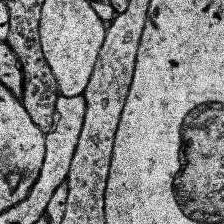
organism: Human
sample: Temporal Lobe